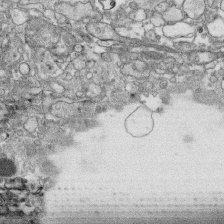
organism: Human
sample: CRL-1474